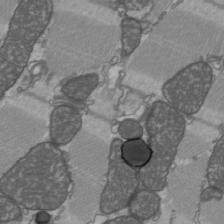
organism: C57BL Mouse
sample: Heart